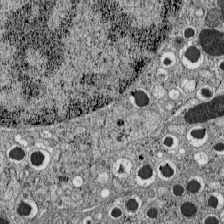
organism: C57BL Mouse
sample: Pancreatic islet